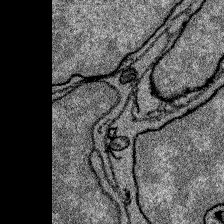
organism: Zebrafish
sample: Larval olfactory bulb